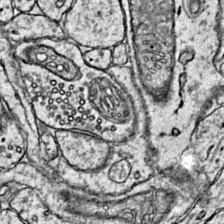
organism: Mouse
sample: Primary visual cortex